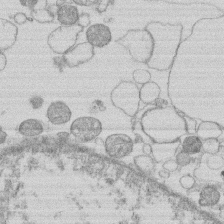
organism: Human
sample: Macrophage cells